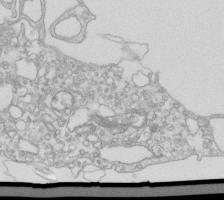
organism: Mouse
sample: Macrophages